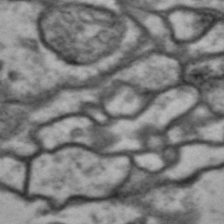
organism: Drosophila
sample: Brain